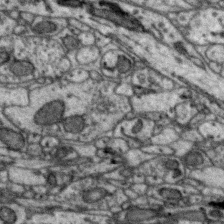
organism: Zebra finch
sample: Brain